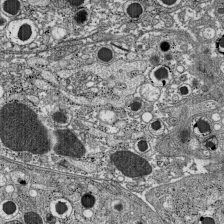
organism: C57BL Mouse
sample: Pancreatic islet